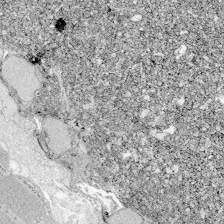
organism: Zebrafish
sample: Whole-Brain